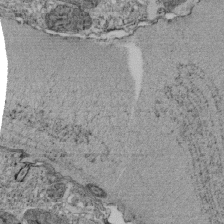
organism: Tetrahymena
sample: Cilia in tetrahymena